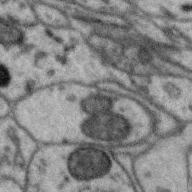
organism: Zebra finch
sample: Brain